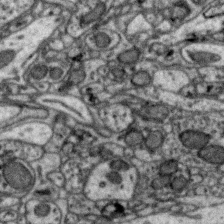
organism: Zebra finch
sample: Brain